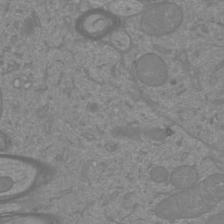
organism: Mouse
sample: Cortical neurons